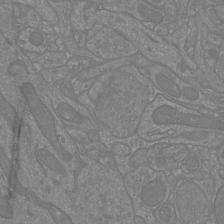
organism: Mouse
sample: Cortical neurons